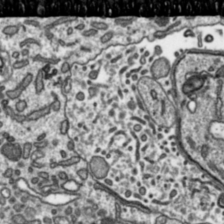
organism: Toxoplasma gondii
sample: Parasites in a vacuole inside a host cell